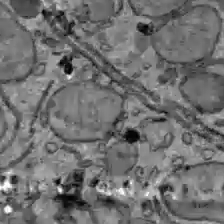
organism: C57BL Mouse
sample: Liver